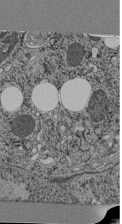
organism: C. elegans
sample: C. elegans pharynx